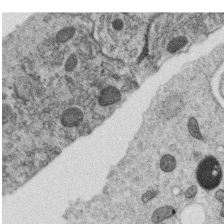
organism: C. elegans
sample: C. elegans oocyte; sperm cells